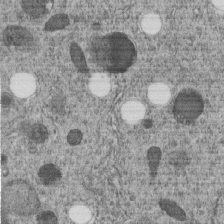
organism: C. elegans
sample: C. elegans embryo early stage